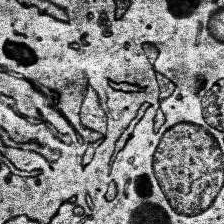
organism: Human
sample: Temporal Lobe